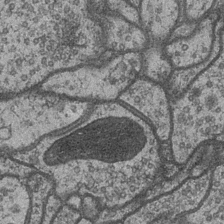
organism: Drosophila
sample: Optic medulla